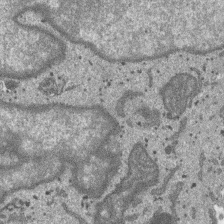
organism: Human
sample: Lung epithelial cells infected with SARS-CoV-2